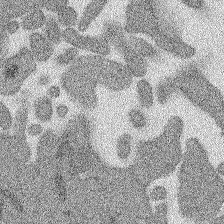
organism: Human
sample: HeLa cells